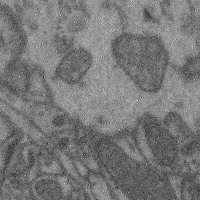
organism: Mouse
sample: Cerebral cortex